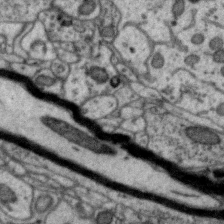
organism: Zebra finch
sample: Brain